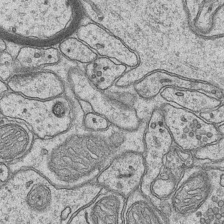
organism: Mouse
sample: CA1 Hippocampus